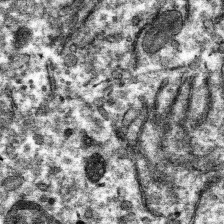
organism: Mouse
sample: Mouse hepatocytes